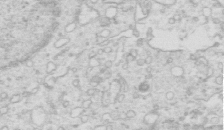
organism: Mouse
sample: Multiciliated cells